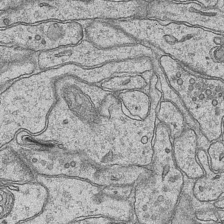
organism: Mouse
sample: CA1 Hippocampus